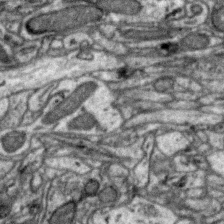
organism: Zebra finch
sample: Brain